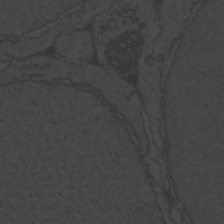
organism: Zebrafish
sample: Macrophage infected with Toxoplasma gondii